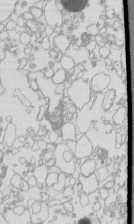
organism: Mouse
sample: Macrophages